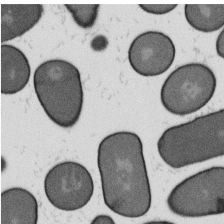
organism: B. subtilis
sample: Bacterial spore